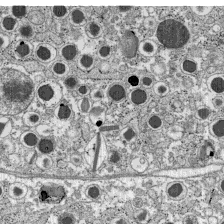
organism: C57BL Mouse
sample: Pancreatic islet